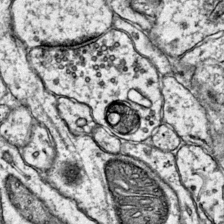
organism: Mouse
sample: Primary visual cortex